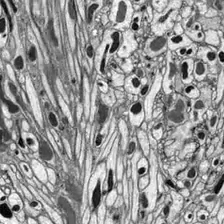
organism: Drosophila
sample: Optic lobe